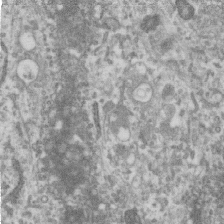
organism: Human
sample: Centriole in RPE cells